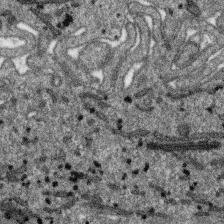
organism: Human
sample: Lung epithelial cells infected with SARS-CoV-2